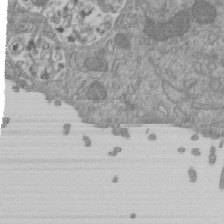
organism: Mouse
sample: ED-1 cell nuclei; centrioles